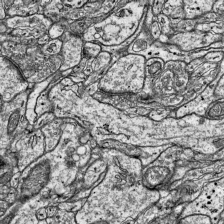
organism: Mouse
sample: Visual Cortex